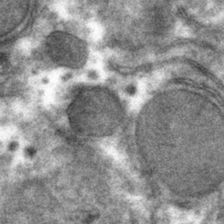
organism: Mouse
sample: Mouse hepatocytes